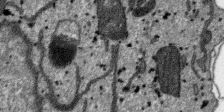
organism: Human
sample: Lung epithelial cells, uninfected (mock) control